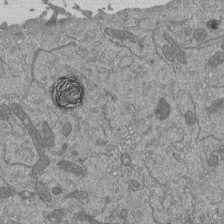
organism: Mouse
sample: ED-1 cell nuclei; centrioles